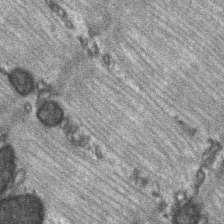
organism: C57BL Mouse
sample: Soleus